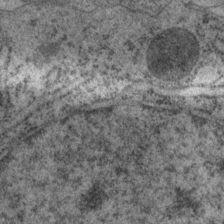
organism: P. pacificus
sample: Pharynx